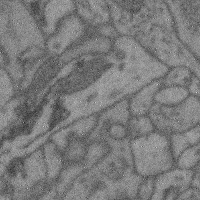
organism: Mouse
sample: Cerebral cortex